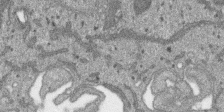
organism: Human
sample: Lung epithelial cells infected with SARS-CoV-2